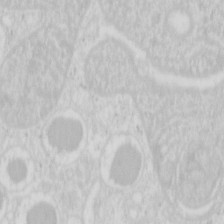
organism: Mouse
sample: Pancreas